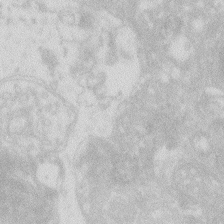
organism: Zebrafish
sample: Macrophage